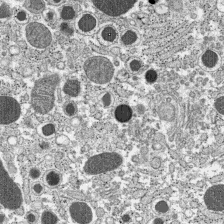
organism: C57BL Mouse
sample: Pancreatic islet